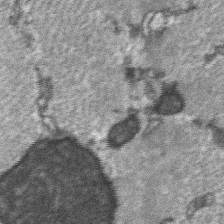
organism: C57BL Mouse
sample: Soleus